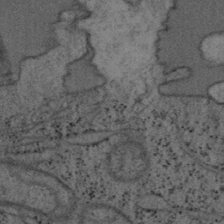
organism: Human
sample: HeLa cells